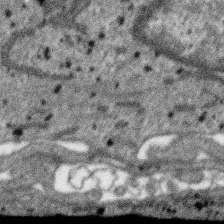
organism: Human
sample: Lung epithelial cells infected with SARS-CoV-2